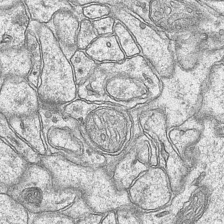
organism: Mouse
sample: CA1 Hippocampus